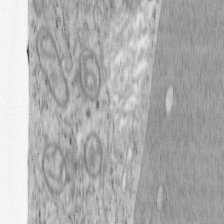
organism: Human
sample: HeLa cells